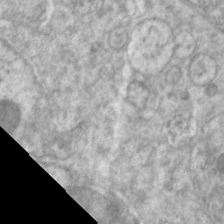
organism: C. elegans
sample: Pharynx